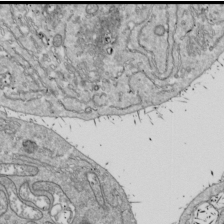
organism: Drosophila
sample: Cell division; meiosis; drosophila spermatocytes